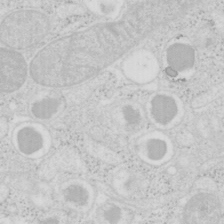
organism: Mouse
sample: Pancreas